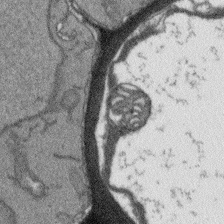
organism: Arabidopsis thaliana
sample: Root tip